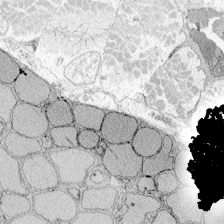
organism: Zebrafish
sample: Whole-Brain